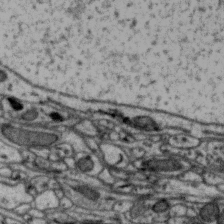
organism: Zebra finch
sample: Brain